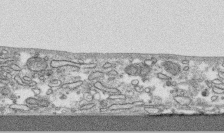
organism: Human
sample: CRL-1474